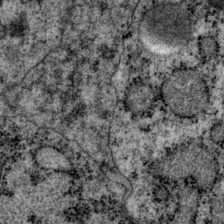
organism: P. pacificus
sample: Pharynx